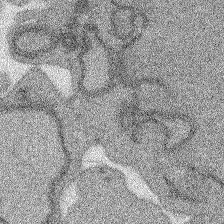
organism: Human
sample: HeLa cells